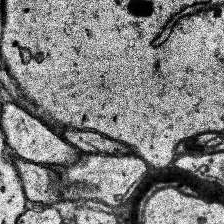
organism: Human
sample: Temporal Lobe